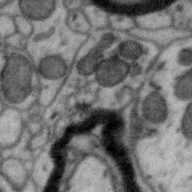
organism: Zebra finch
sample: Brain